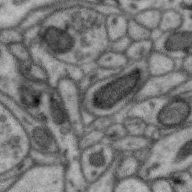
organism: Zebra finch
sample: Brain